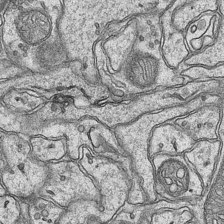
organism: Mouse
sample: CA1 Hippocampus